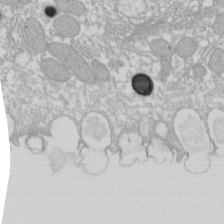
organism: Xenopus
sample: Cilia; centrioles in frog embryo cells